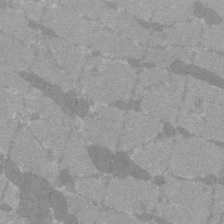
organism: C57BL Mouse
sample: Tibialis anterior muscle cell